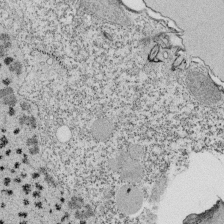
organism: Tetrahymena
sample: Cilia in tetrahymena